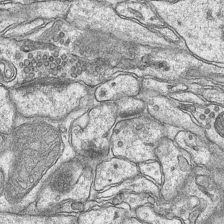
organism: Mouse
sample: CA1 Hippocampus